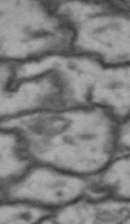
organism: Drosophila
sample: Brain